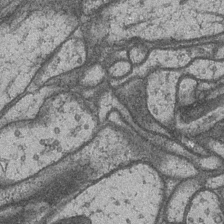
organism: Drosophila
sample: Optic medulla